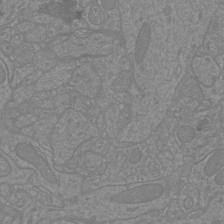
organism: Mouse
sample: Cortical neurons